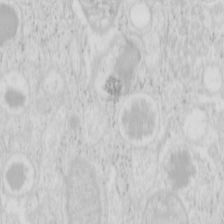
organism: Mouse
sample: Pancreas